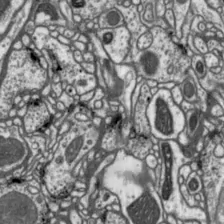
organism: Drosophila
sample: Protocerebral bridge